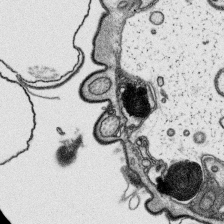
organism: Platynereis dumerilii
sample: Parapodia